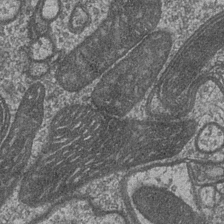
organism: Drosophila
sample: Optic medulla